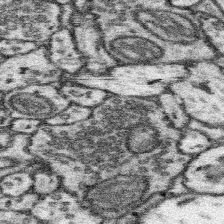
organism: Mouse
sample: Somatosensory cortex neuropil